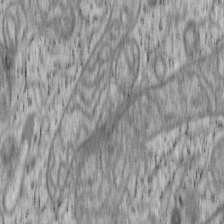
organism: Human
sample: HeLa cells